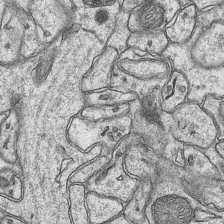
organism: Mouse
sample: CA1 Hippocampus